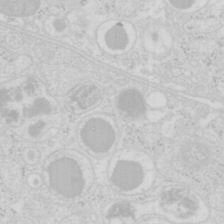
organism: Mouse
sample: Pancreas